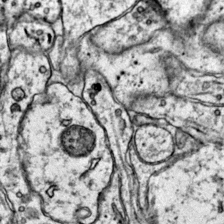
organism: Mouse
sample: Primary visual cortex